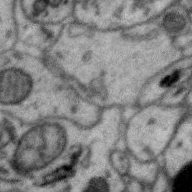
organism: Zebra finch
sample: Brain